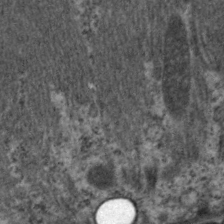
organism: C. elegans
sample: Pharynx